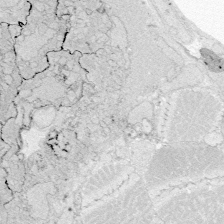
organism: Zebrafish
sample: Whole-Brain